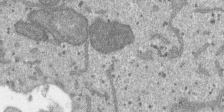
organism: Human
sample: Lung epithelial cells infected with SARS-CoV-2